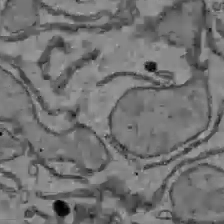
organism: C57BL Mouse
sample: Liver